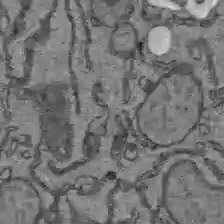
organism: C57BL Mouse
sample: Liver